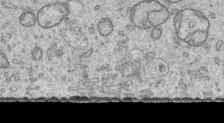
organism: Human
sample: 1205lu cells